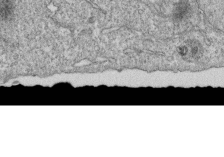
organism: Human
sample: HeLa cell HIV synapse